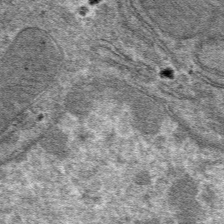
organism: Mouse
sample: Mouse hepatocytes